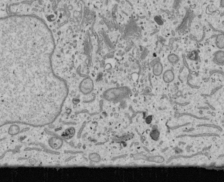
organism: Human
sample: Mitochondria in U2OS cells